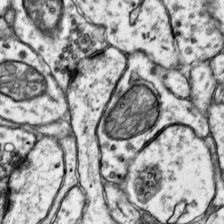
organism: Mouse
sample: Primary visual cortex